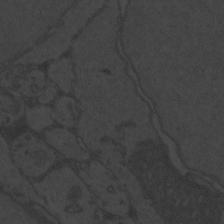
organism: Zebrafish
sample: Macrophage infected with Toxoplasma gondii